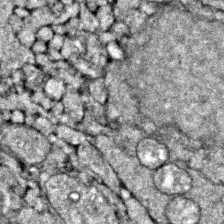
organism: Zebrafish